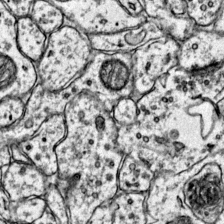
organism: Mouse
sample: Primary visual cortex